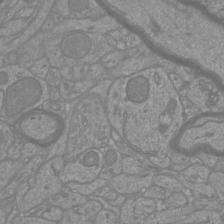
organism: Mouse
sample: Cortical neurons